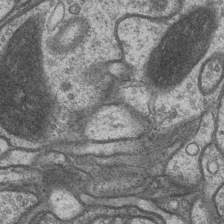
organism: Drosophila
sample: Optic medulla